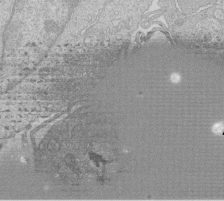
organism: Human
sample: Macrophage cells